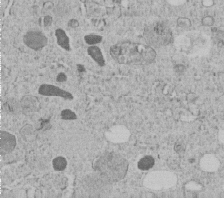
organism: C. elegans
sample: C. elegans embryo early stage